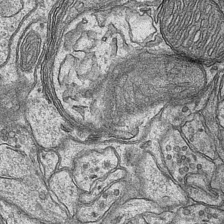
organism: Mouse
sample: CA1 Hippocampus